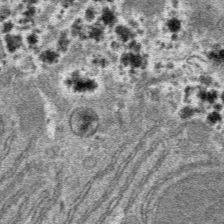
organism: Mouse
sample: Mouse hepatocytes